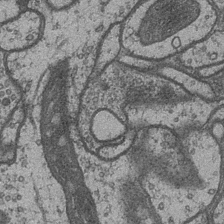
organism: Drosophila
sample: Optic medulla